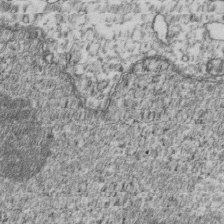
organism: Human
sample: Activated Jurkat CD4+ T cells